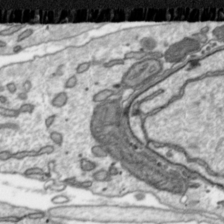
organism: Toxoplasma gondii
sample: Parasites in a vacuole inside a host cell